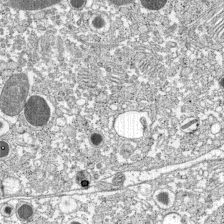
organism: C57BL Mouse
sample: Pancreatic islet